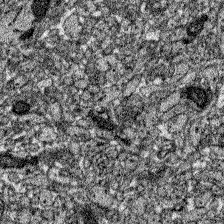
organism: Zebrafish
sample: Larval olfactory bulb